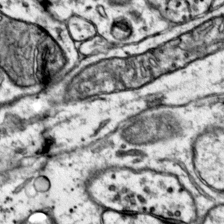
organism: Mouse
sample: Primary visual cortex